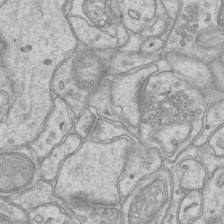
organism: Mouse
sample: CA1 Hippocampus